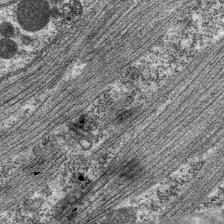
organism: C. elegans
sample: Pharynx